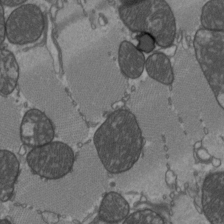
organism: C57BL Mouse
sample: Heart